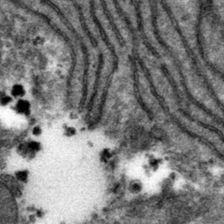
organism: Mouse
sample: Mouse hepatocytes